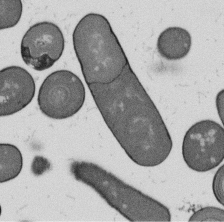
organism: B. subtilis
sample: Bacterial spore